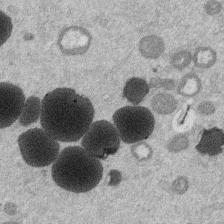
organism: Mouse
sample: Dividing mouse embryo 1 cell stage